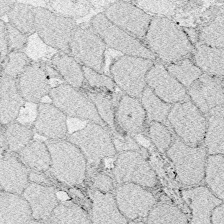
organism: Zebrafish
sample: Whole-Brain